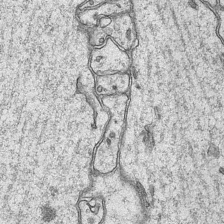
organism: Mouse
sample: CA1 Hippocampus